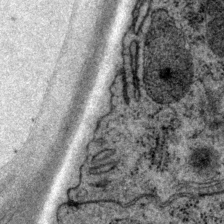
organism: P. pacificus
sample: Pharynx